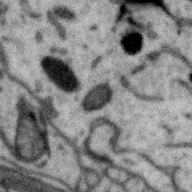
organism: Zebra finch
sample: Brain